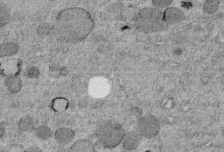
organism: C. elegans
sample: C. elegans embryo early stage